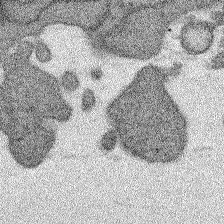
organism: Human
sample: HeLa cells